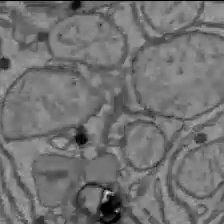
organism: C57BL Mouse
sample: Liver